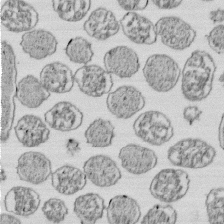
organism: E. coli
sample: Bacterial nucleoid